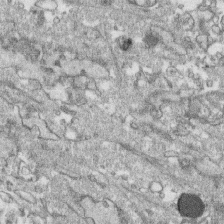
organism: Human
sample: CRL-1474